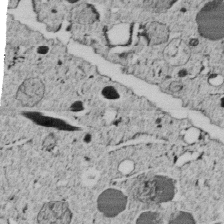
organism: C. elegans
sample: C. elegans embryo early stage